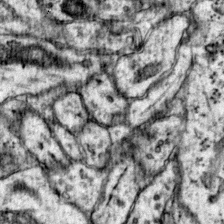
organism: Mouse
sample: Primary visual cortex